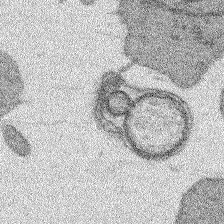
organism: Human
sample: HeLa cells